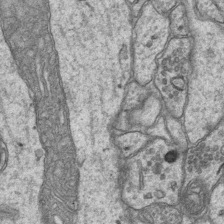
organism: Mouse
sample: CA1 Hippocampus